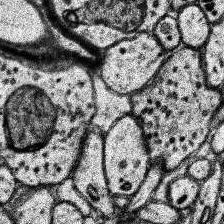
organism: Human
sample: Temporal Lobe